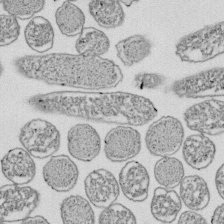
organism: E. coli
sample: Bacterial nucleoid